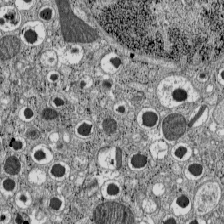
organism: C57BL Mouse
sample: Pancreatic islet